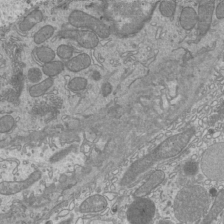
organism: Mouse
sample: Cilia; mouse epididymis